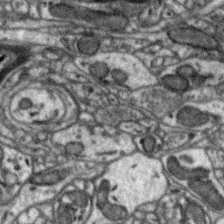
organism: Zebra finch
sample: Brain